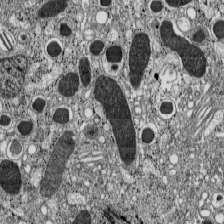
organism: C57BL Mouse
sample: Pancreatic islet